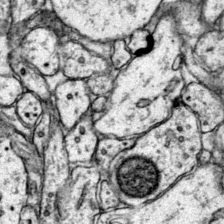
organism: Mouse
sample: Primary visual cortex